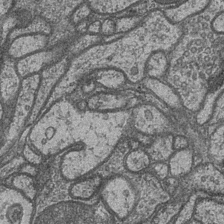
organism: Drosophila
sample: Optic medulla